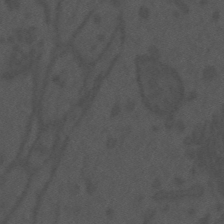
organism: Mouse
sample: Suprachiasmatic nucleus